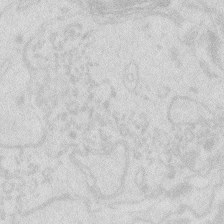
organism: Zebrafish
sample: Macrophage